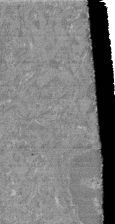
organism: Mouse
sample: Glomerulus